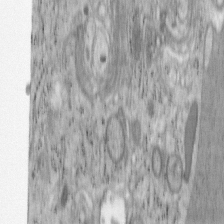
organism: Human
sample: HeLa cells